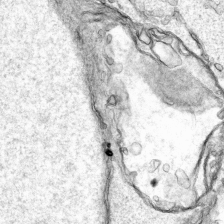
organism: Human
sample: Mitochondria in HCT116 cells